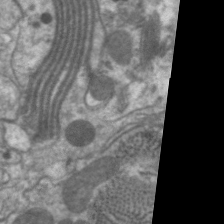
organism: C. elegans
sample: Pharynx